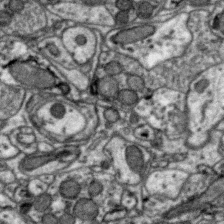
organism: Zebra finch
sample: Brain